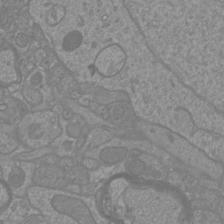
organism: Mouse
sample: Cortical neurons